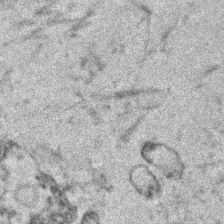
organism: Human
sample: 1205lu cells